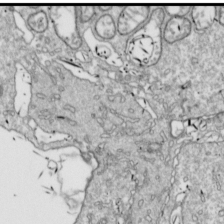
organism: Drosophila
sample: Cell division; meiosis; drosophila spermatocytes